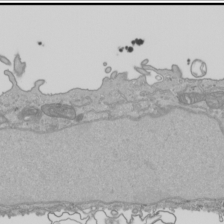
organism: Human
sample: Mitochondria in HCT116 cells